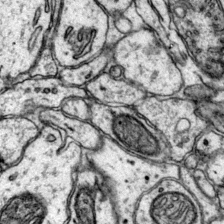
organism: Mouse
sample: Primary visual cortex